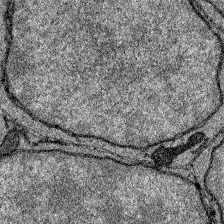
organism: Zebrafish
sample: Larval olfactory bulb